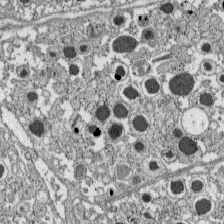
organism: C57BL Mouse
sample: Pancreatic islet